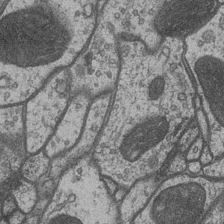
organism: Drosophila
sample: Optic medulla